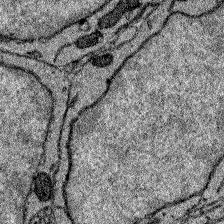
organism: Zebrafish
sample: Larval olfactory bulb